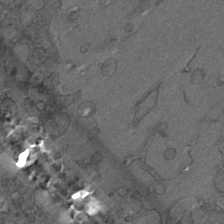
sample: Trachea